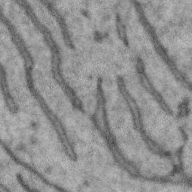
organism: Zebra finch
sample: Brain